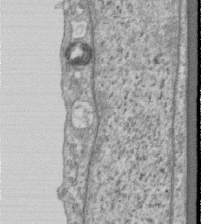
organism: Human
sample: Centriole in RPE cells